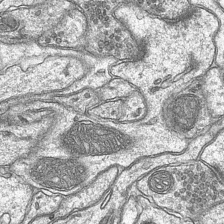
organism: Mouse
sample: CA1 Hippocampus